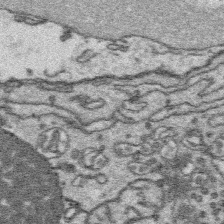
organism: Platynereis dumerilii